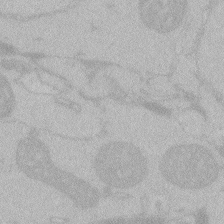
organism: Zebrafish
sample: Macrophage infected with Toxoplasma gondii